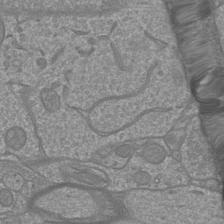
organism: Mouse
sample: Cortical neurons